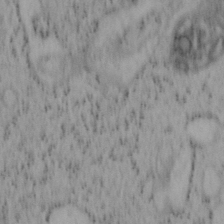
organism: Mouse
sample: OT-I killer T cells with ID8 ovarian cancer cells